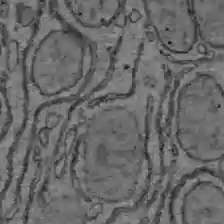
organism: C57BL Mouse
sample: Liver